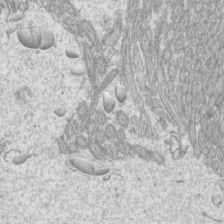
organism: Mouse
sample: Cilia; mouse epididymis